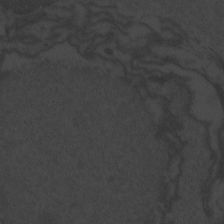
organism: Zebrafish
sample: Macrophage infected with Toxoplasma gondii